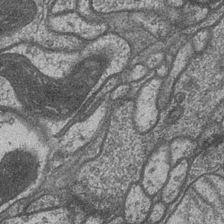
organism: Drosophila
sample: Optic medulla